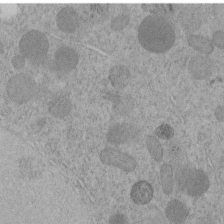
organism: C. elegans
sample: C. elegans embryo early stage